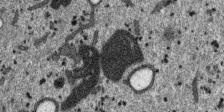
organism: Human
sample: Lung epithelial cells infected with SARS-CoV-2